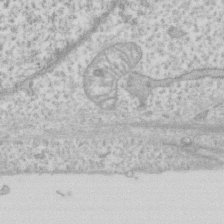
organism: Human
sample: Fibroblast cells